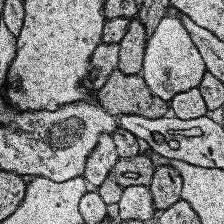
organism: Human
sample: Temporal Lobe